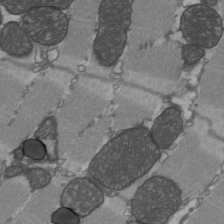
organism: C57BL Mouse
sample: Heart